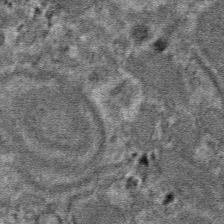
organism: Mouse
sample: Mouse hepatocytes